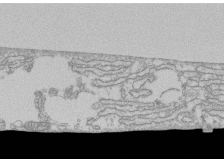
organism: Human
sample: CRL-1474